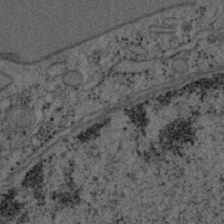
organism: Human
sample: HeLa cells